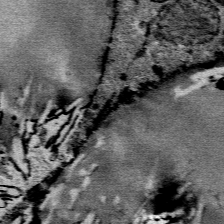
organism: Mouse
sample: Mouse Salivary gland